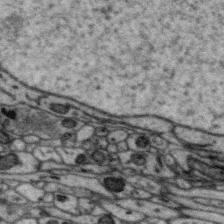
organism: Zebra finch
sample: Brain